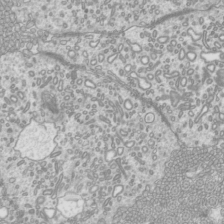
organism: Mouse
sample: Cilia; mouse epididymis